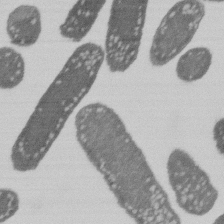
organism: E. coli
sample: Bacterial nucleoid